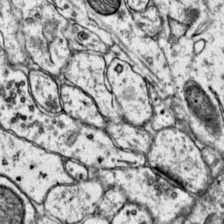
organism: Mouse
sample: Primary visual cortex